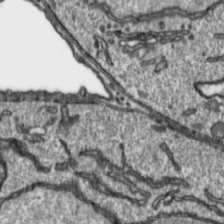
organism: Toxoplasma gondii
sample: Parasites in a vacuole inside a host cell